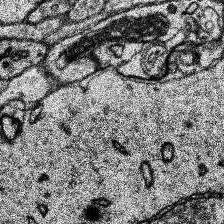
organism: Human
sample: Temporal Lobe